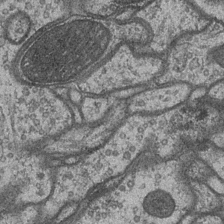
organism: Drosophila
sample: Optic medulla